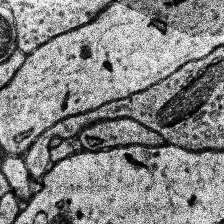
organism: Human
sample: Temporal Lobe